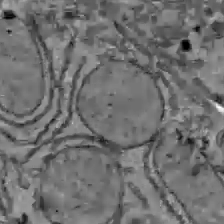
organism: C57BL Mouse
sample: Liver